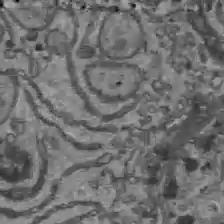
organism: C57BL Mouse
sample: Liver